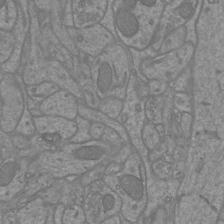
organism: Mouse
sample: Cortical neurons